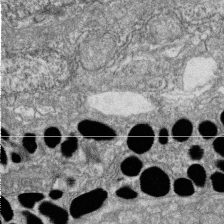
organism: Zebrafish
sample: Cilia; retinal pigment epithelium